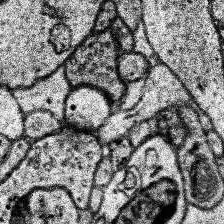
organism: Human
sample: Temporal Lobe